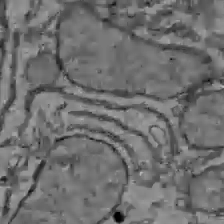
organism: C57BL Mouse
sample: Liver